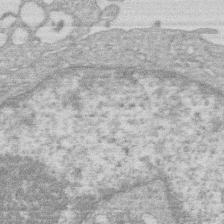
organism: Human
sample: Macrophage cells